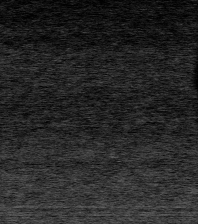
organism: Human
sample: HeLa cells